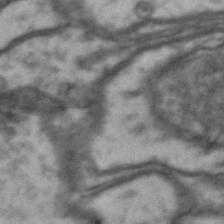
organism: Drosophila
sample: Brain